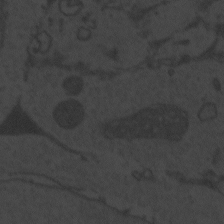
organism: Zebrafish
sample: Macrophage infected with Toxoplasma gondii